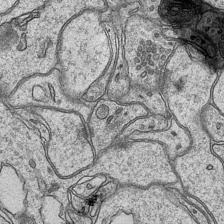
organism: Mouse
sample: CA1 Hippocampus